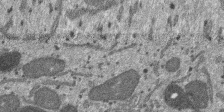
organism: Human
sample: Lung epithelial cells infected with SARS-CoV-2